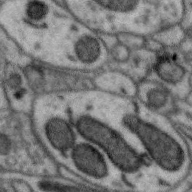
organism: Zebra finch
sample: Brain